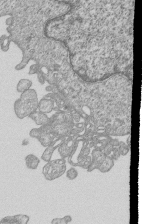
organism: Human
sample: MDA-MB-231 cells